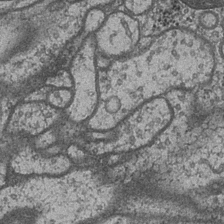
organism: Drosophila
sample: Optic medulla